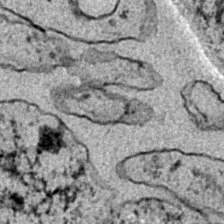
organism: C. elegans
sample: C. elegans embryo